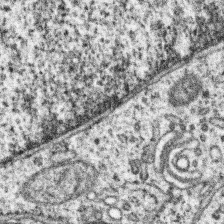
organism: Human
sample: HeLa cells